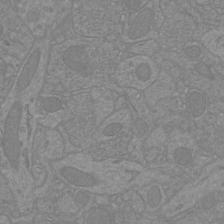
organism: Mouse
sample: Cortical neurons